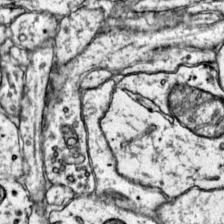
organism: Mouse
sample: Primary visual cortex